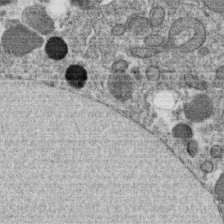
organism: C. elegans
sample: C. elegans oocyte; sperm cells